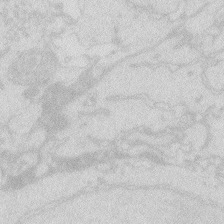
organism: Zebrafish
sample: Macrophage